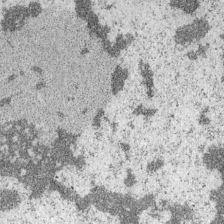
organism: Mouse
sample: OT-I killer T cells with ID8 ovarian cancer cells